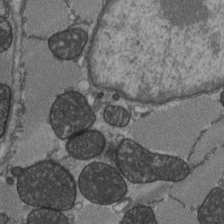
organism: C57BL Mouse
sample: Heart